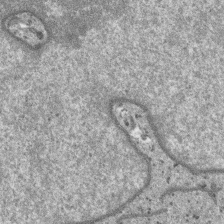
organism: Human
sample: Lung epithelial cells infected with SARS-CoV-2